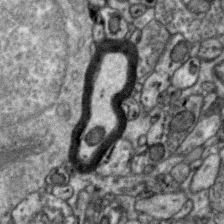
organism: Zebra finch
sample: Brain